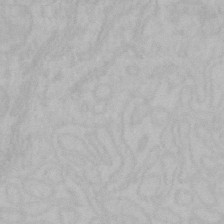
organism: Mouse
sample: Choroid plexus